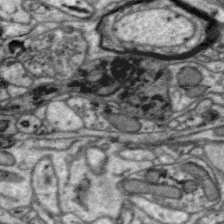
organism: Zebra finch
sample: Brain